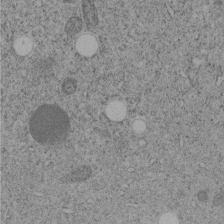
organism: C. elegans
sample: C. elegans embryo early stage